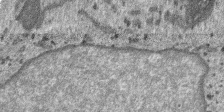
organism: Human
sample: Lung epithelial cells infected with SARS-CoV-2